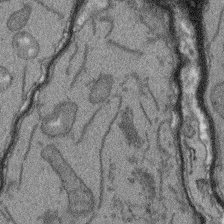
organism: Arabidopsis thaliana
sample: Root tip